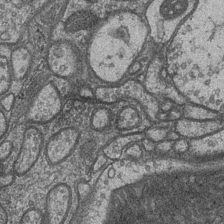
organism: Drosophila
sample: Optic medulla